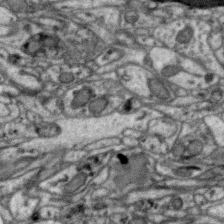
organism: Zebra finch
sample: Brain